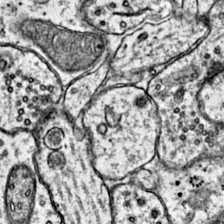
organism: Mouse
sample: Primary visual cortex